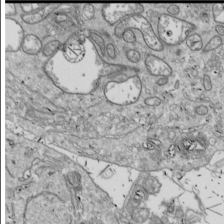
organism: Drosophila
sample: Cell division; meiosis; drosophila spermatocytes